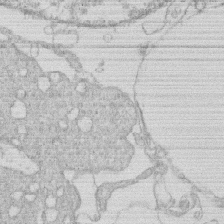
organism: Human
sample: Macrophage cells